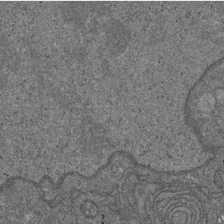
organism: Drosophila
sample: Nephrocyte